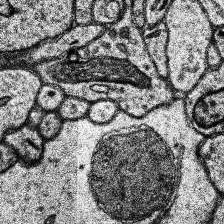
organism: Human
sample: Temporal Lobe